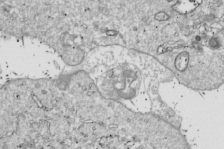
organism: Drosophila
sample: Cell division; meiosis; drosophila spermatocytes